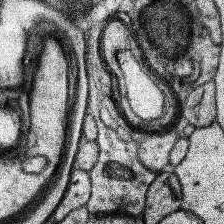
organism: Human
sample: Temporal Lobe